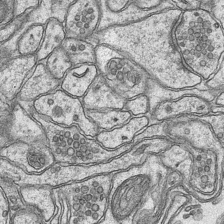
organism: Mouse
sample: CA1 Hippocampus